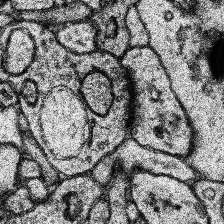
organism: Human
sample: Temporal Lobe